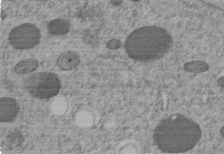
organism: C. elegans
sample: C. elegans embryo early stage